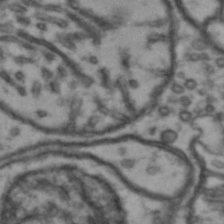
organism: Drosophila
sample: Brain